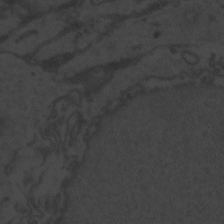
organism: Zebrafish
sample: Macrophage infected with Toxoplasma gondii